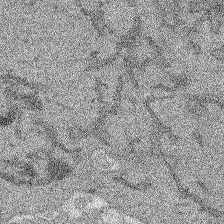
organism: Human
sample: HeLa cells